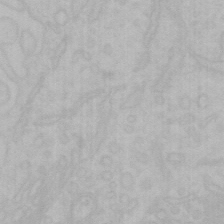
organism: Mouse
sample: Choroid plexus